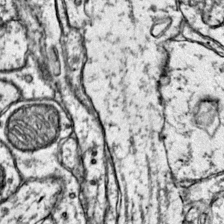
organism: Mouse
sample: Primary visual cortex